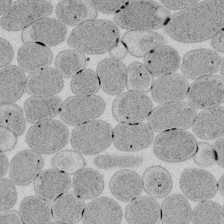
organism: E. coli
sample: Bacterial nucleoid